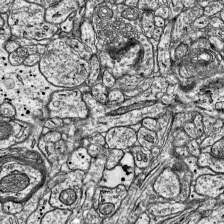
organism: Mouse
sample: Visual Cortex